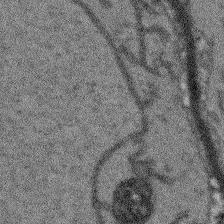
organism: Arabidopsis thaliana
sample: Root tip